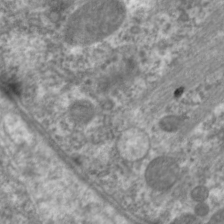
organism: C. elegans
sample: Pharynx